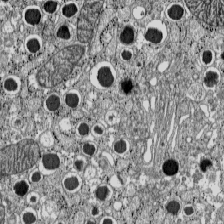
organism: C57BL Mouse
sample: Pancreatic islet